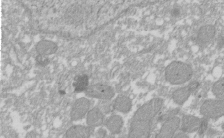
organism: Xenopus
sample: Cilia; centrioles in frog embryo cells